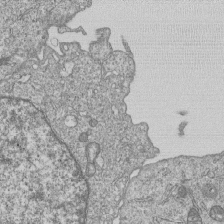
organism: Human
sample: MDA-MB-231 cells